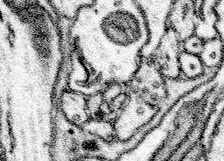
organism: Mouse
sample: Somatosensory cortex neuropil